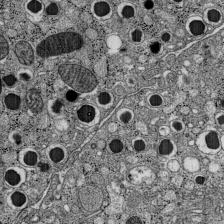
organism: C57BL Mouse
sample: Pancreatic islet